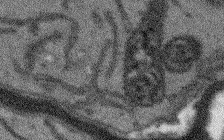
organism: Arabidopsis thaliana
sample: Root tip